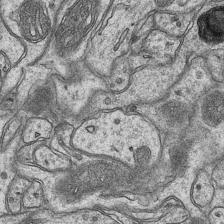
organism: Mouse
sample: CA1 Hippocampus